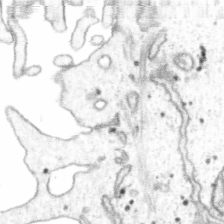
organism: Human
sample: HeLa cells